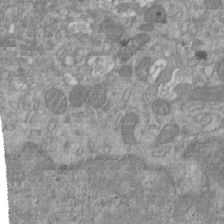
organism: Mouse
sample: ED-1 cell nuclei; centrioles